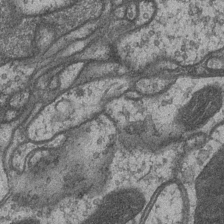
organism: Drosophila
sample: Optic medulla